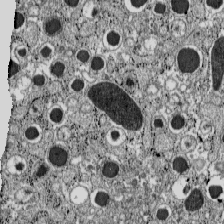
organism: C57BL Mouse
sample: Pancreatic islet